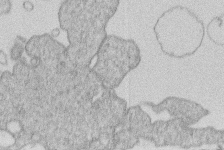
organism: Human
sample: Macrophage cells